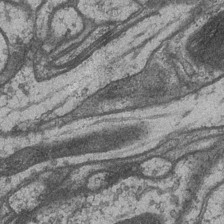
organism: Drosophila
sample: Optic medulla